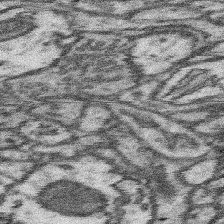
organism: Mouse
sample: Somatosensory cortex neuropil